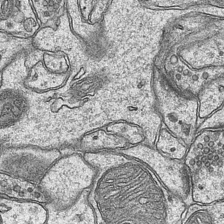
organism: Mouse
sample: CA1 Hippocampus